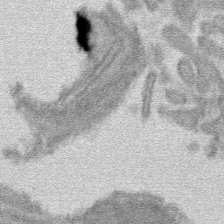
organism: Mouse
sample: Mouse hepatocytes